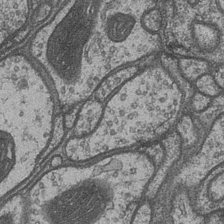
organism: Drosophila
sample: Optic medulla